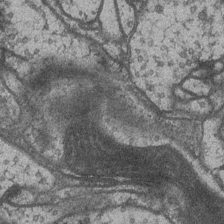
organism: Drosophila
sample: Optic medulla